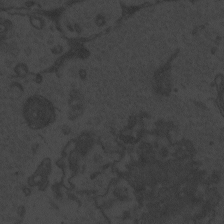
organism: Zebrafish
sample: Macrophage infected with Toxoplasma gondii